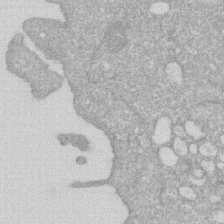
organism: Human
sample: HIV infected U937 cells